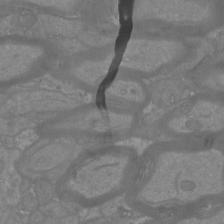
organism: Mouse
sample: Cortical neurons